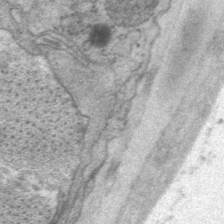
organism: P. pacificus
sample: Pharynx